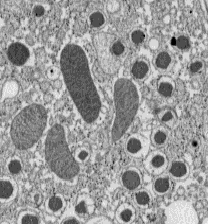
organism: C57BL Mouse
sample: Pancreatic islet